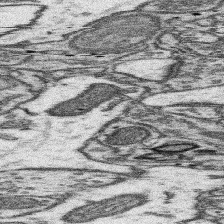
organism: Mouse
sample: Somatosensory cortex neuropil